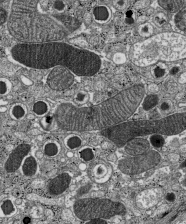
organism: C57BL Mouse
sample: Pancreatic islet